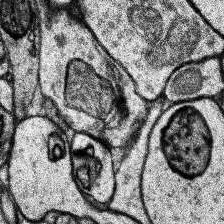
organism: Human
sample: Temporal Lobe